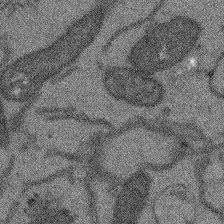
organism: Arabidopsis thaliana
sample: Root tip